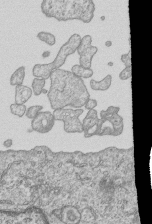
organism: Human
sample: MDA-MB-231 cells